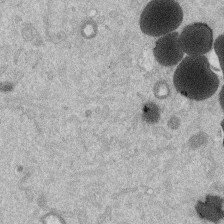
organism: Mouse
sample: Dividing mouse embryo 1 cell stage